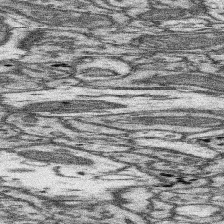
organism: Mouse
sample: Somatosensory cortex neuropil